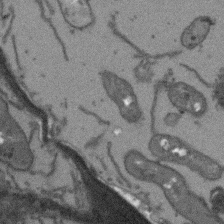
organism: Arabidopsis thaliana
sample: Root tip